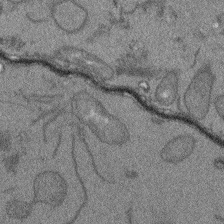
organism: Arabidopsis thaliana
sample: Root tip